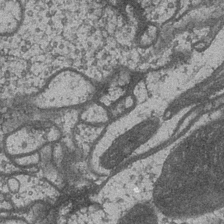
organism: Drosophila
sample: Optic medulla